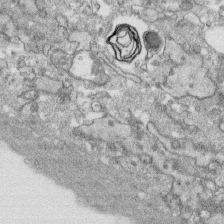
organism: Human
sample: CRL-1474